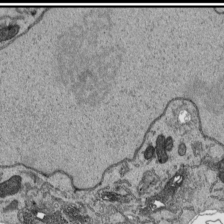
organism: Human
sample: Mitochondria in HCT116 cells